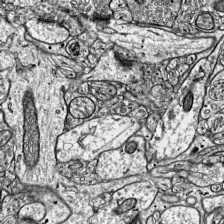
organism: Mouse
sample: Visual Cortex